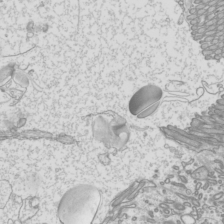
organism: Mouse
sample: Cilia; mouse epididymis